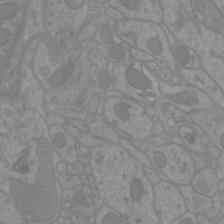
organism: Mouse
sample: Cortical neurons